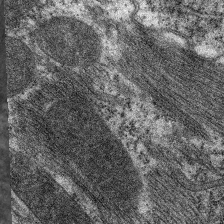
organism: C. elegans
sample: Pharynx